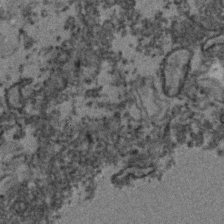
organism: Zebrafish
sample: Zebrafish embryo